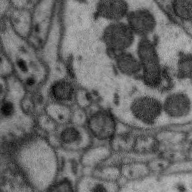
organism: Zebra finch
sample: Brain